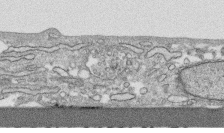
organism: Human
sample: CRL-1474